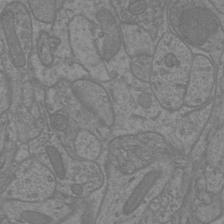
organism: Mouse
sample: Cortical neurons